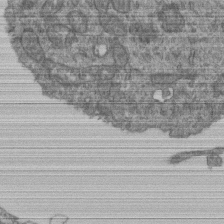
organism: Human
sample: Retinal organoid Rod and Cone cells